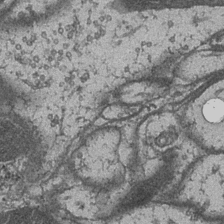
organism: Drosophila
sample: Optic medulla